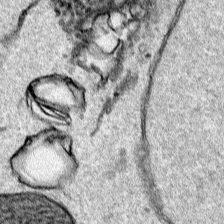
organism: Human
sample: Mitochondria in HCT116 cells